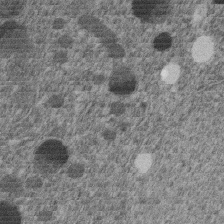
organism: C. elegans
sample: C. elegans embryo early stage